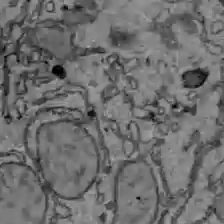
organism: C57BL Mouse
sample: Liver